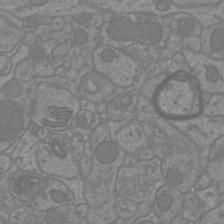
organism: Mouse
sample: Cortical neurons